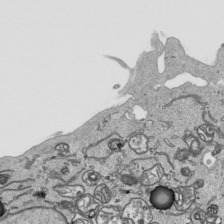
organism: Human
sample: Mitochondria in HCT116 cells